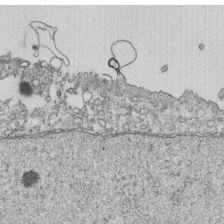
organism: Human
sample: HeLa cell HIV synapse